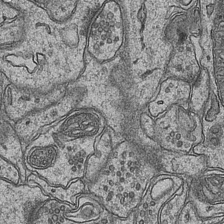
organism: Mouse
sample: CA1 Hippocampus